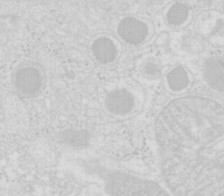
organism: Mouse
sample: Pancreas